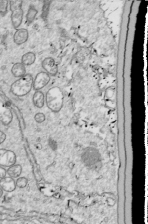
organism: Drosophila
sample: Cell division; meiosis; drosophila spermatocytes